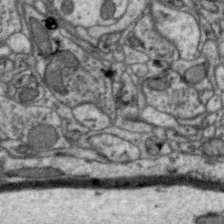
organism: Zebra finch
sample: Brain